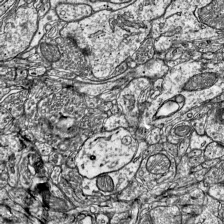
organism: Mouse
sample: Visual Cortex